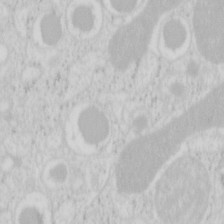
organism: Mouse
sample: Pancreas